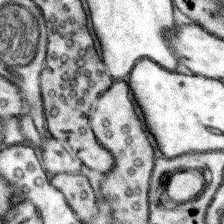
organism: Mouse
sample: Somatosensory cortex neuropil